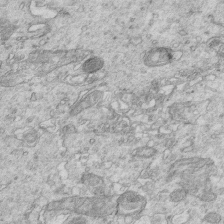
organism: Mouse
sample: Multiciliated cells